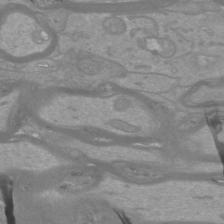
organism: Mouse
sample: Cortical neurons